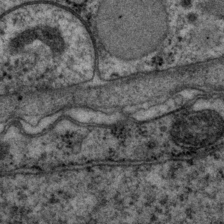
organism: P. pacificus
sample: Pharynx